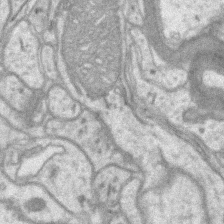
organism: Mouse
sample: CA1 Hippocampus